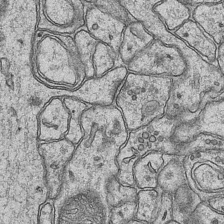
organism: Mouse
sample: CA1 Hippocampus